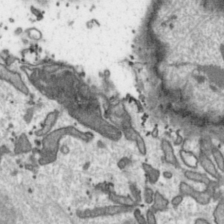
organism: Toxoplasma gondii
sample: Parasites in a vacuole inside a host cell